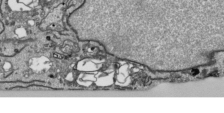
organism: Human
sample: Mitochondria in HCT116 cells